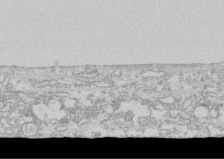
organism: Human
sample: CRL-1474